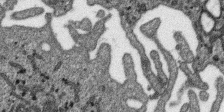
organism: Human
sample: Lung epithelial cells infected with SARS-CoV-2